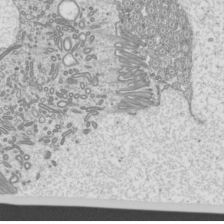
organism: Mouse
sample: Cilia; mouse epididymis